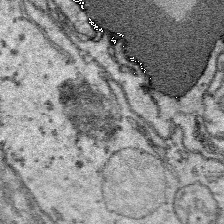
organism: Platynereis dumerilii